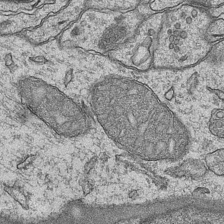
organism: Mouse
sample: CA1 Hippocampus